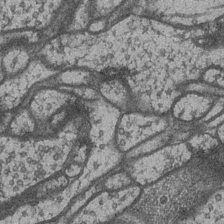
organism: Drosophila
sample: Optic medulla